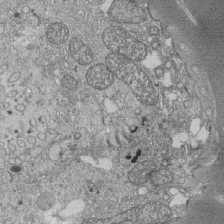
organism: Tetrahymena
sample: Cilia in tetrahymena